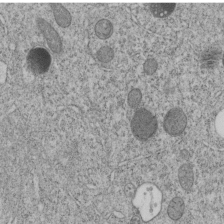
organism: C. elegans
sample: C. elegans embryo early stage